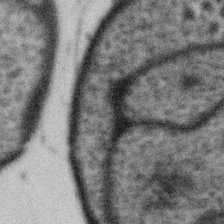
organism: Gemmata obscuriglobus